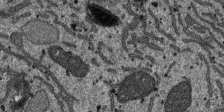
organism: Human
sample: Lung epithelial cells infected with SARS-CoV-2